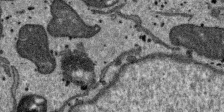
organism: Human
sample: Lung epithelial cells, uninfected (mock) control